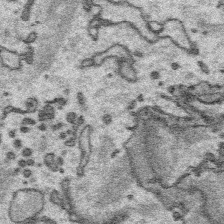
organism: Platynereis dumerilii